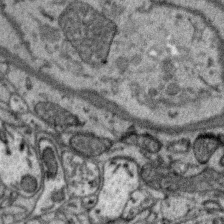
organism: Zebra finch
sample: Brain